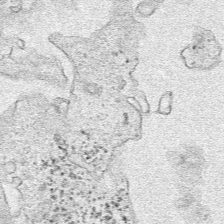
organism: Human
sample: Mitochondria in HCT116 cells